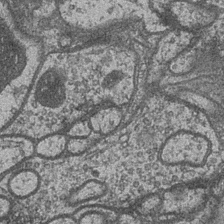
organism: Drosophila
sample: Optic medulla